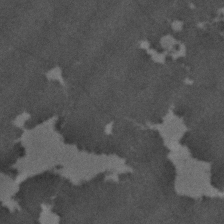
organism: C. elegans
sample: C. elegans embryo